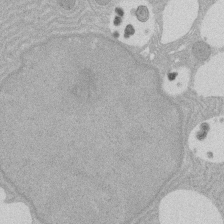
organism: Rat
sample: Salivary granule